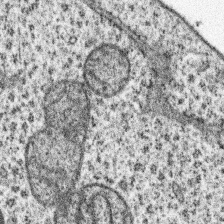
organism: Human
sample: HeLa cells